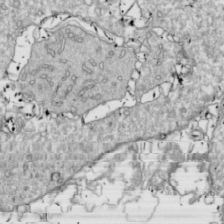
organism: Drosophila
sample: Cell division; meiosis; drosophila spermatocytes